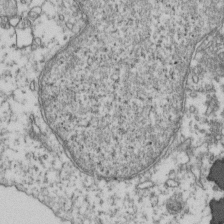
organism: Human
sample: Activated Jurkat CD4+ T cells